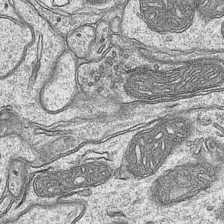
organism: Mouse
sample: CA1 Hippocampus